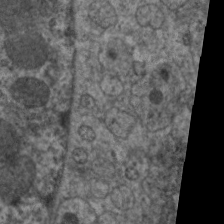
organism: C. elegans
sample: Pharynx